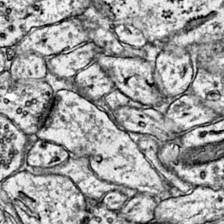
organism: Mouse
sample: Primary visual cortex